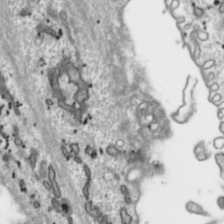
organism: Toxoplasma gondii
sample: Parasites in a vacuole inside a host cell